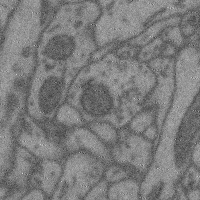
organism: Mouse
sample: Cerebral cortex